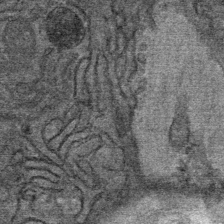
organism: Mouse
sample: Mouse Salivary gland